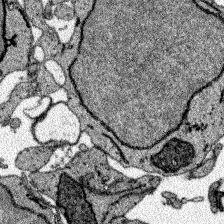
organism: Zebrafish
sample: Larval olfactory bulb